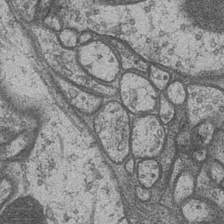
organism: Drosophila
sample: Optic medulla